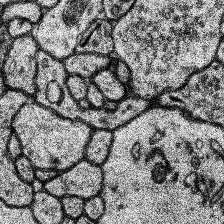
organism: Human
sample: Temporal Lobe